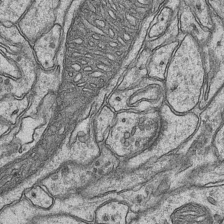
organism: Mouse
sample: CA1 Hippocampus